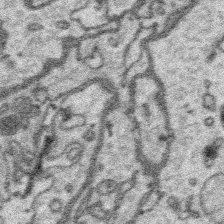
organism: Platynereis dumerilii